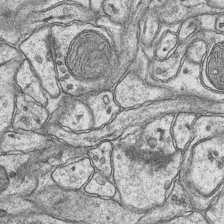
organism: Mouse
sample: CA1 Hippocampus